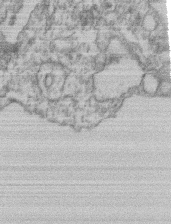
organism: Mouse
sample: T cell stromal cell synapse